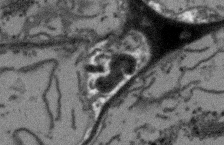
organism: Arabidopsis thaliana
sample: Root tip